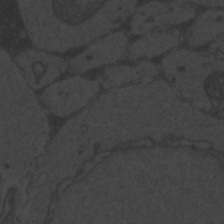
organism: Zebrafish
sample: Macrophage infected with Toxoplasma gondii